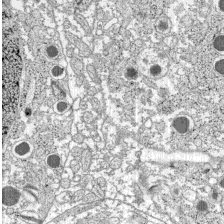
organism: C57BL Mouse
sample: Pancreatic islet